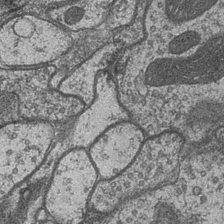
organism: Drosophila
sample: Optic medulla